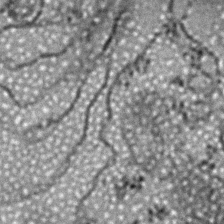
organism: Zebrafish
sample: Zebrafish embryo